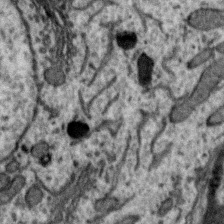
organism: Zebra finch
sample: Brain